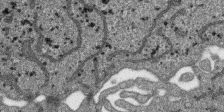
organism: Human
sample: Lung epithelial cells infected with SARS-CoV-2